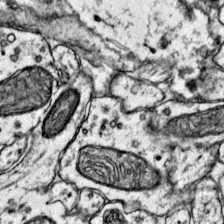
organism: Mouse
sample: Primary visual cortex